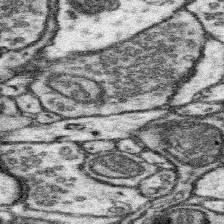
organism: Mouse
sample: Somatosensory cortex neuropil